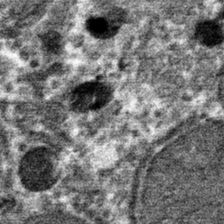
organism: Mouse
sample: Mouse hepatocytes